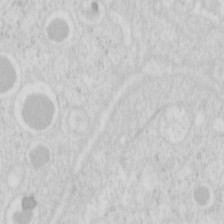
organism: Mouse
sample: Pancreas